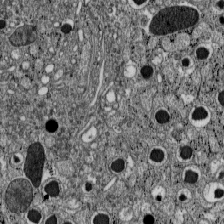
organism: C57BL Mouse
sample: Pancreatic islet